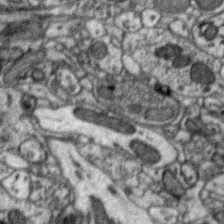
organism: Zebra finch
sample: Brain